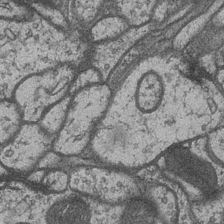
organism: Drosophila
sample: Optic medulla